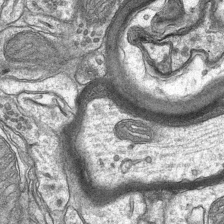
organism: Mouse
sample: CA1 Hippocampus